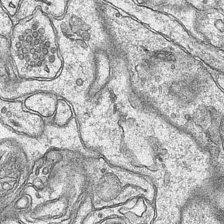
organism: Mouse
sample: CA1 Hippocampus